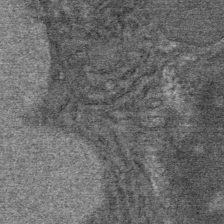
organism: Mouse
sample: Mouse Salivary gland